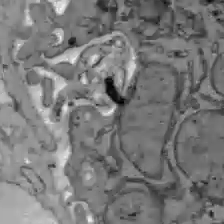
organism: C57BL Mouse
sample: Liver